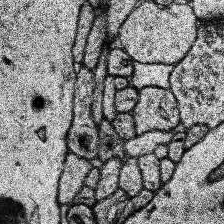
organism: Human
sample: Temporal Lobe